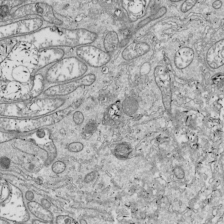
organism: Drosophila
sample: Cell division; meiosis; drosophila spermatocytes